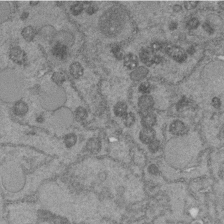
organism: C. elegans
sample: C. elegans embryo early stage